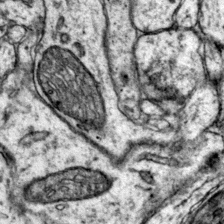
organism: Mouse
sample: Primary visual cortex